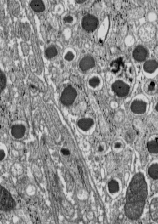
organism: C57BL Mouse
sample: Pancreatic islet